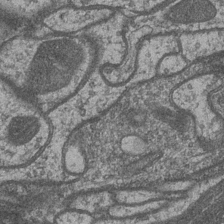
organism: Drosophila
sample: Optic medulla